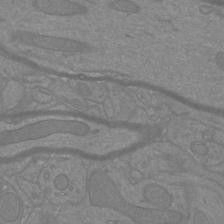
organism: Mouse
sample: Cortical neurons